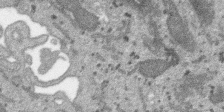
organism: Human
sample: Lung epithelial cells infected with SARS-CoV-2